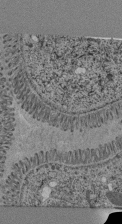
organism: C. elegans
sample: C. elegans pharynx